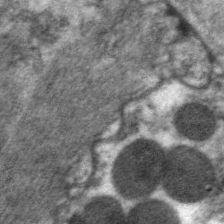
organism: C. elegans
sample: Pharynx